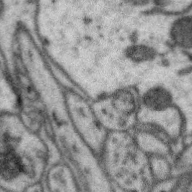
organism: Zebra finch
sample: Brain